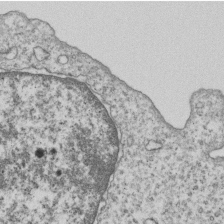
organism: Human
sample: MDA-MB-231 cells